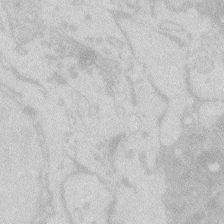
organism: Zebrafish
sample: Macrophage